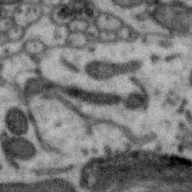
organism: Zebra finch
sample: Brain